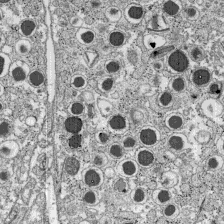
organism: C57BL Mouse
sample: Pancreatic islet